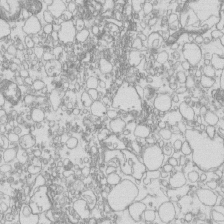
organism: Mouse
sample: Macrophages